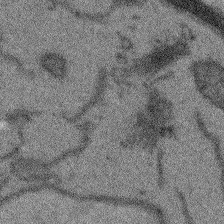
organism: Arabidopsis thaliana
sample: Root tip